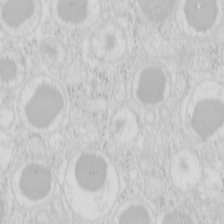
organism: Mouse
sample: Pancreas